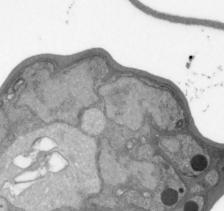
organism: Plasmodium falciparum